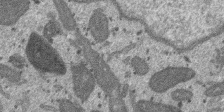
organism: Human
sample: Lung epithelial cells infected with SARS-CoV-2